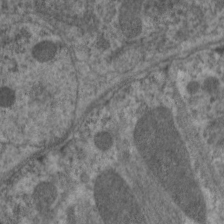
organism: C. elegans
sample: Pharynx